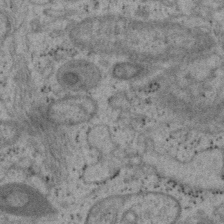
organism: Human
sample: HeLa cells